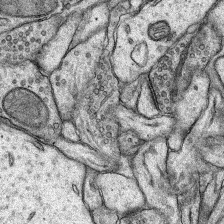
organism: Rat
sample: Hippocampus